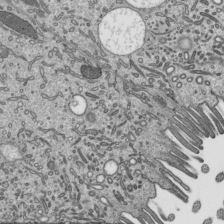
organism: Mouse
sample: Mouse epididymis efferent ductule cilia